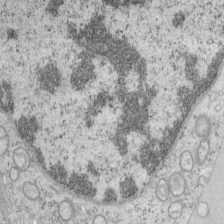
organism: Mouse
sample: OT-I killer T cells with ID8 ovarian cancer cells